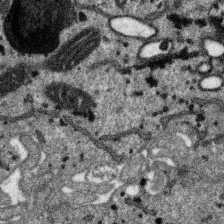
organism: Human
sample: Lung epithelial cells infected with SARS-CoV-2